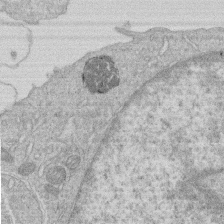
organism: Human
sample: Macrophage cells